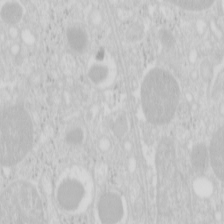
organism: Mouse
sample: Pancreas